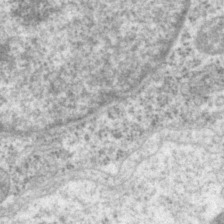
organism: P. pacificus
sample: Pharynx